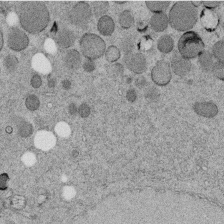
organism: C. elegans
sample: C. elegans embryo early stage